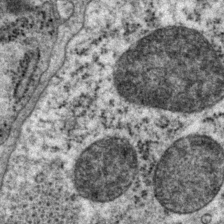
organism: P. pacificus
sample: Pharynx